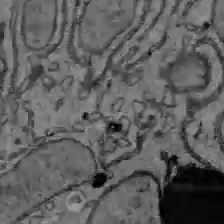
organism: C57BL Mouse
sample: Liver